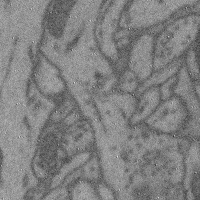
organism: Mouse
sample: Cerebral cortex